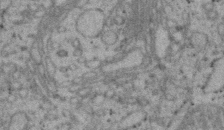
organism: Human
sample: HeLa cells